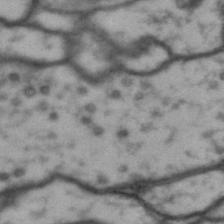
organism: Drosophila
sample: Brain